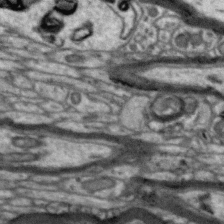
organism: Zebra finch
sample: Brain